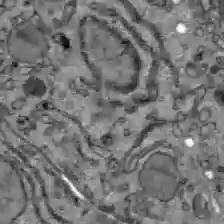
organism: C57BL Mouse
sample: Liver